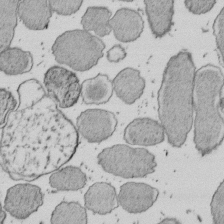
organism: E. coli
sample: Bacterial nucleoid